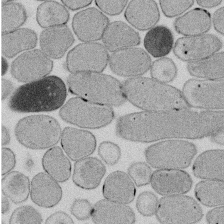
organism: E. coli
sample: Bacterial nucleoid